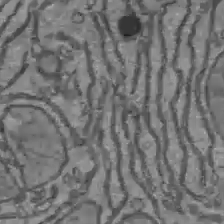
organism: C57BL Mouse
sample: Liver